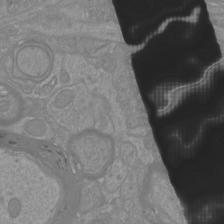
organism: Mouse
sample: Cortical neurons